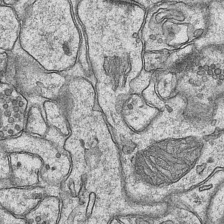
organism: Mouse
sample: CA1 Hippocampus